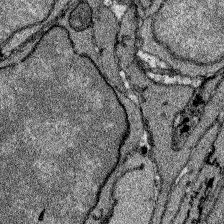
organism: Zebrafish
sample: Larval olfactory bulb